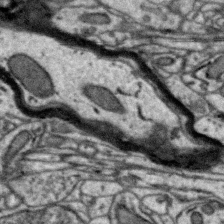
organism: Zebra finch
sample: Brain